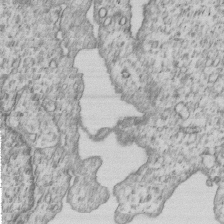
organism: Human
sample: MDA-MB-231 cells